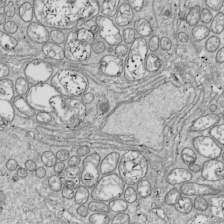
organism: Drosophila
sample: Cell division; meiosis; drosophila spermatocytes